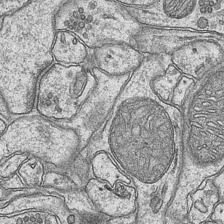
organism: Mouse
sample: CA1 Hippocampus